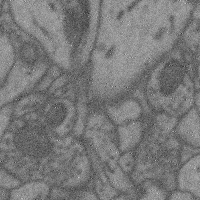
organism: Mouse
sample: Cerebral cortex